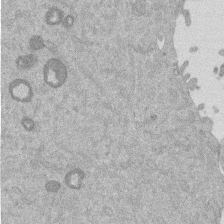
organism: Mouse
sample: Dividing mouse embryo 1 cell stage